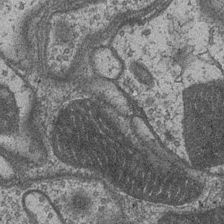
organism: Drosophila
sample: Optic medulla